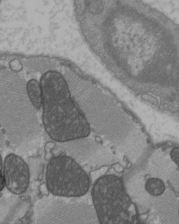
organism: C57BL Mouse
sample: Heart